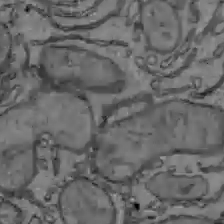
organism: C57BL Mouse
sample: Liver